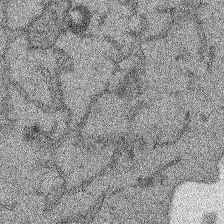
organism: Human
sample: HeLa cells